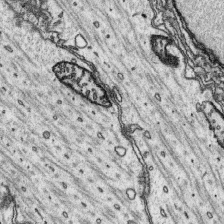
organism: Platynereis dumerilii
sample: Parapodia